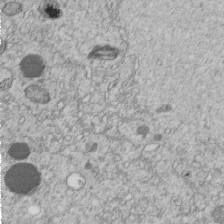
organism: C. elegans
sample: C. elegans embryo early stage